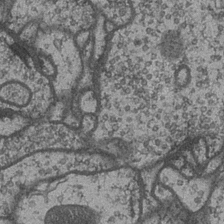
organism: Drosophila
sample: Optic medulla